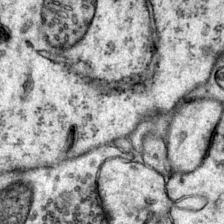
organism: Mouse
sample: Primary visual cortex